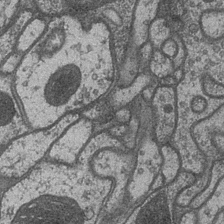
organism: Drosophila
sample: Optic medulla